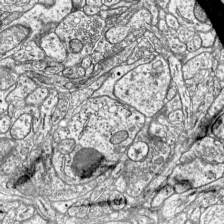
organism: Mouse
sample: Visual Cortex